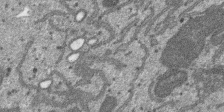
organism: Human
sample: Lung epithelial cells infected with SARS-CoV-2